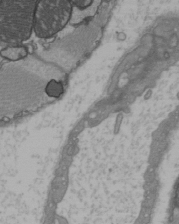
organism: C57BL Mouse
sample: Heart